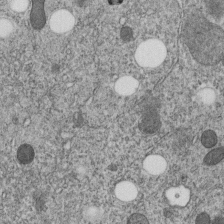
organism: C. elegans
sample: C. elegans embryo early stage